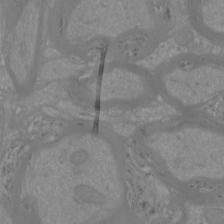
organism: Mouse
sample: Cortical neurons